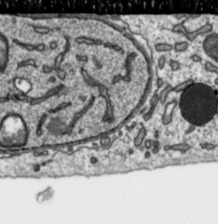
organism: Toxoplasma gondii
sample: Parasites in a vacuole inside a host cell